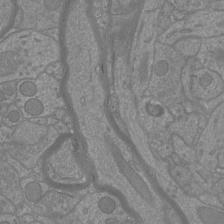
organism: Mouse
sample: Cortical neurons